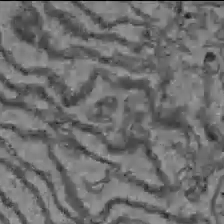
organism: C57BL Mouse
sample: Liver